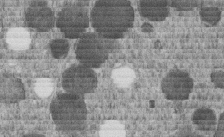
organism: C. elegans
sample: C. elegans embryo early stage